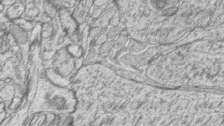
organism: Zebrafish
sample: synaptic ribbons in rod cells and cone cells